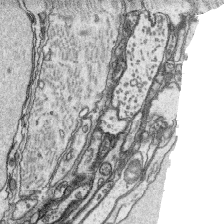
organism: Platynereis dumerilii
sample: Parapodia